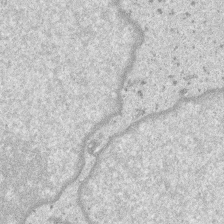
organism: Human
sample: Lung epithelial cells infected with SARS-CoV-2